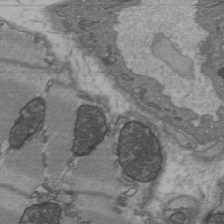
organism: C57BL Mouse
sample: Heart